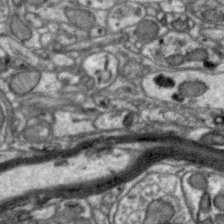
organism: Zebra finch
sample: Brain